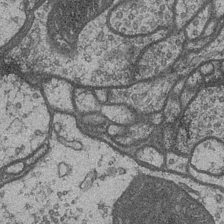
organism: Drosophila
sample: Optic medulla